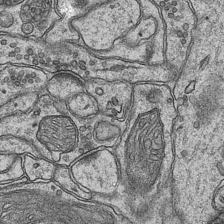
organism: Mouse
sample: CA1 Hippocampus